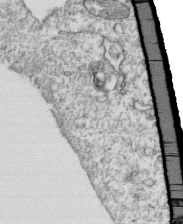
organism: Mouse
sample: Activated OT-1 CD8+ T cells